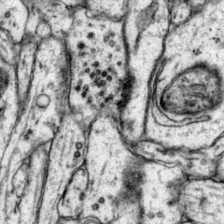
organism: Mouse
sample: Primary visual cortex